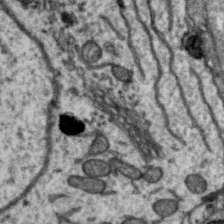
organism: Zebra finch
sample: Brain